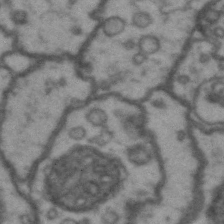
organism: Drosophila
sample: Brain